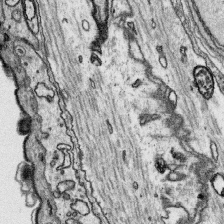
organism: Platynereis dumerilii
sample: Parapodia